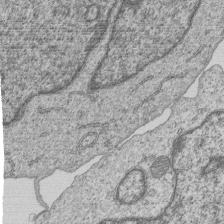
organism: Human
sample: MDA-MB-231 cells